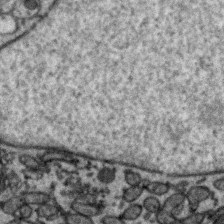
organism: Zebra finch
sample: Brain